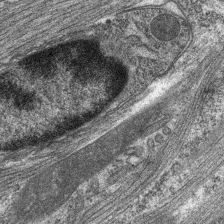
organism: C. elegans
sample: Pharynx